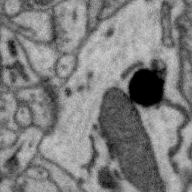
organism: Zebra finch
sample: Brain